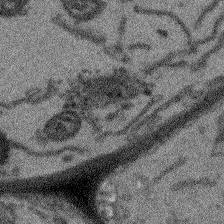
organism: Arabidopsis thaliana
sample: Root tip